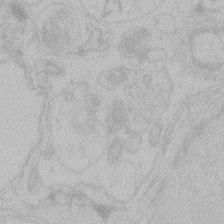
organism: Zebrafish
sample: Macrophage infected with Toxoplasma gondii